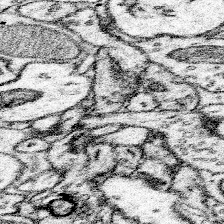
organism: Mouse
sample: Somatosensory cortex neuropil